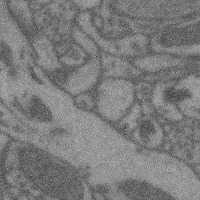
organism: Mouse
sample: Cerebral cortex